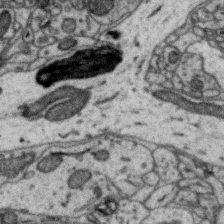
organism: Zebra finch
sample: Brain